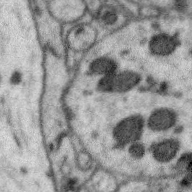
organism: Zebra finch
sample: Brain